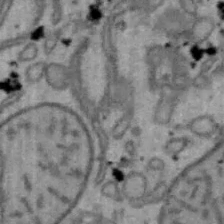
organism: Mouse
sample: Liver